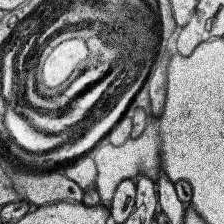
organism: Human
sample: Temporal Lobe